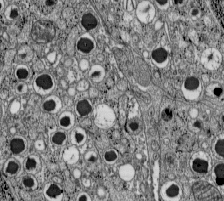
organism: C57BL Mouse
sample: Pancreatic islet